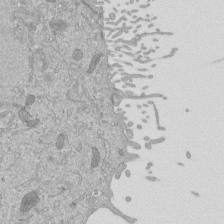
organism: Mouse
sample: ED-1 cell nuclei; centrioles